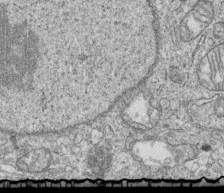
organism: Human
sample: HeLa cell HIV synapse